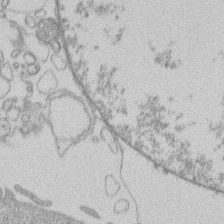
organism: Human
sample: Macrophage cells